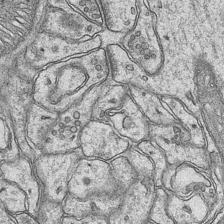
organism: Mouse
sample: CA1 Hippocampus